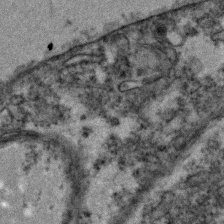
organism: Zebrafish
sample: Zebrafish embryo